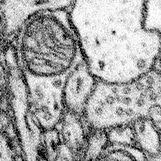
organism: Mouse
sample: Somatosensory cortex neuropil